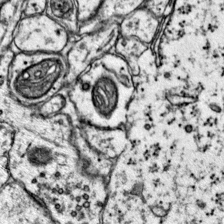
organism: Mouse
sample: Primary visual cortex